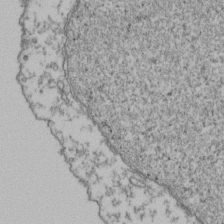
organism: Human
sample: Activated Jurkat CD4+ T cells